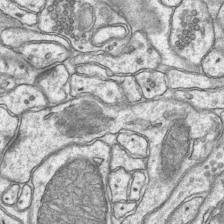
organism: Mouse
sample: CA1 Hippocampus